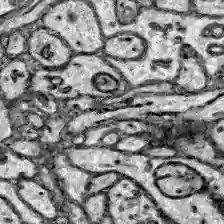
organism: Zebrafish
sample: Brain